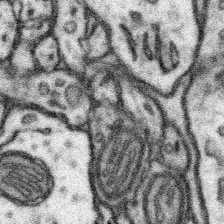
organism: Mouse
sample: Somatosensory cortex neuropil